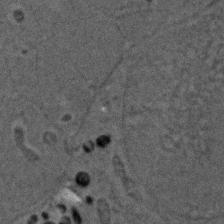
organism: Zebrafish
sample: Zebrafish embryo